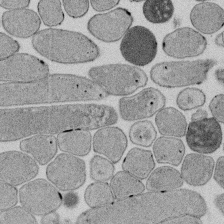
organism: E. coli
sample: Bacterial nucleoid